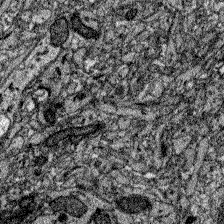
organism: Zebrafish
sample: Larval olfactory bulb